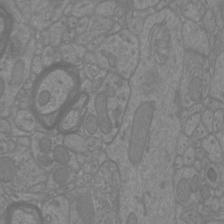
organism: Mouse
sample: Cortical neurons